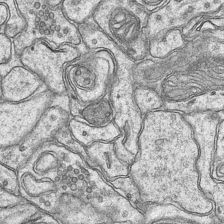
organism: Mouse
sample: CA1 Hippocampus